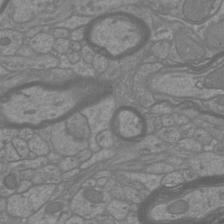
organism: Mouse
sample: Cortical neurons